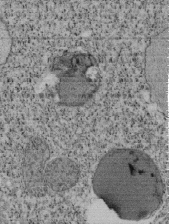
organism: Tetrahymena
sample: Cilia in tetrahymena